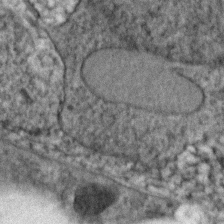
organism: Zebrafish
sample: Zebrafish embryo